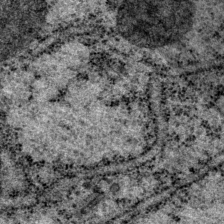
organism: P. pacificus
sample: Pharynx